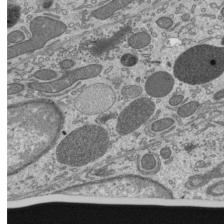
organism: Mouse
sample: Mouse epididymis efferent ductule cilia